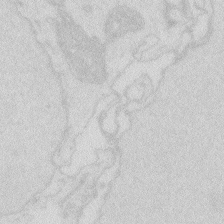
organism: Zebrafish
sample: Macrophage